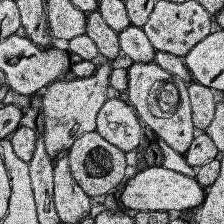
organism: Human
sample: Temporal Lobe